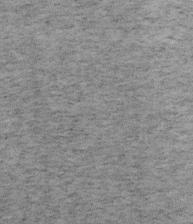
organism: Mouse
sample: OT-I killer T cells with ID8 ovarian cancer cells